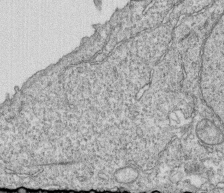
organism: Human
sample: HeLa cell HIV synapse